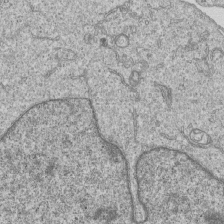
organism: Human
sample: MDA-MB-231 cells